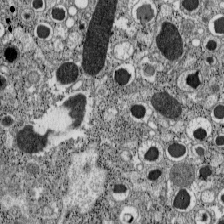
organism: C57BL Mouse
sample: Pancreatic islet